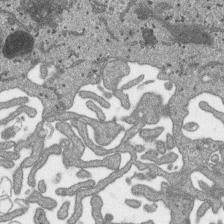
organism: Human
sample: Lung epithelial cells infected with SARS-CoV-2